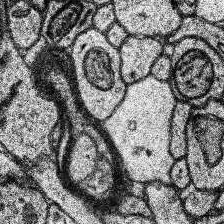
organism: Human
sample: Temporal Lobe